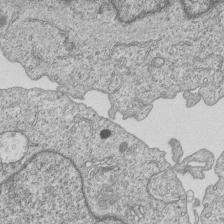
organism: Human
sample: MDA-MB-231 cells